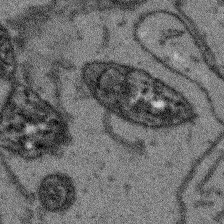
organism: Arabidopsis thaliana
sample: Root tip